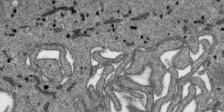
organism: Human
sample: Lung epithelial cells, uninfected (mock) control